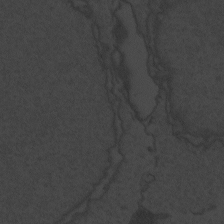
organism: Zebrafish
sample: Macrophage infected with Toxoplasma gondii